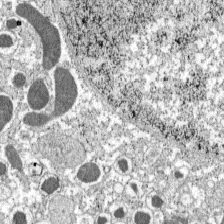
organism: C57BL Mouse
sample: Pancreatic islet